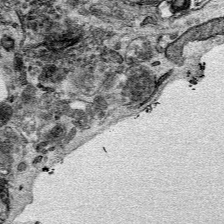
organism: Mouse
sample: Cancer cell death in ED-1 cells